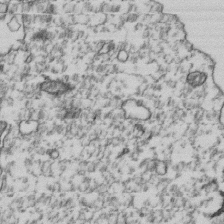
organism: Human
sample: Activated Jurkat CD4+ T cells